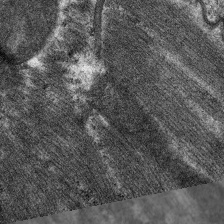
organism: C. elegans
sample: Pharynx